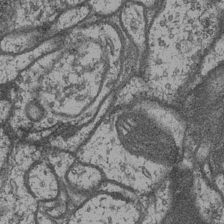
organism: Drosophila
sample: Optic medulla